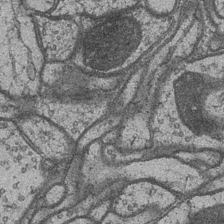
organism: Drosophila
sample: Optic medulla